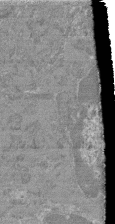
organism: Mouse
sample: Glomerulus